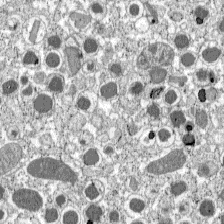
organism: C57BL Mouse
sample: Pancreatic islet